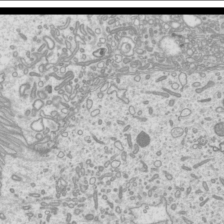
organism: Mouse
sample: Cilia; mouse epididymis